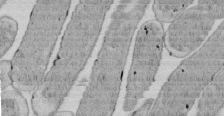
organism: E. coli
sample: Bacterial nucleoid